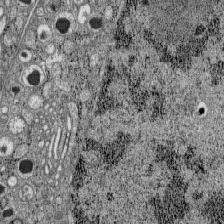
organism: C57BL Mouse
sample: Pancreatic islet